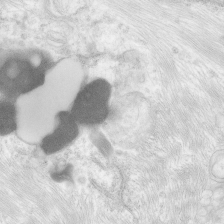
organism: Human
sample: Neocortex